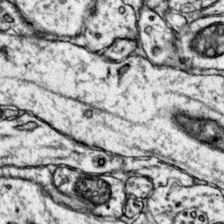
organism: Mouse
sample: Primary visual cortex